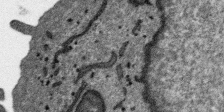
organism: Human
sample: Lung epithelial cells, uninfected (mock) control